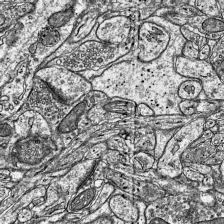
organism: Mouse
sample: Visual Cortex